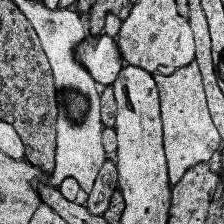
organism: Human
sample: Temporal Lobe